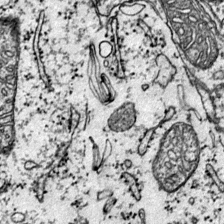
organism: Mouse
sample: Primary visual cortex